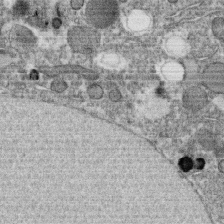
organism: C. elegans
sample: C. elegans oocyte; sperm cells